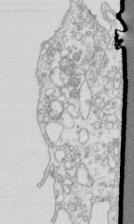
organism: Mouse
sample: Macrophages